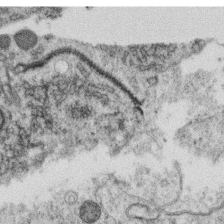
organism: C. elegans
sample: C. elegans oocyte; sperm cells